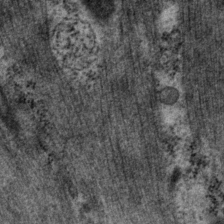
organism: P. pacificus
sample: Pharynx